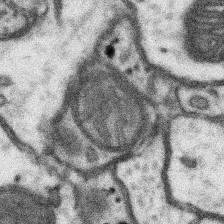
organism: Mouse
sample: Somatosensory cortex neuropil